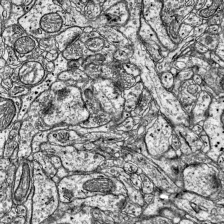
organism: Mouse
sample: Visual Cortex